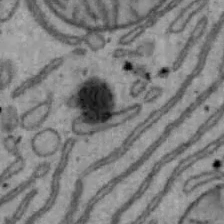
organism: Mouse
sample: Liver